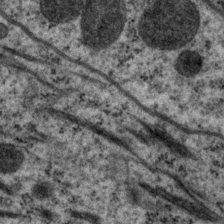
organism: P. pacificus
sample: Pharynx